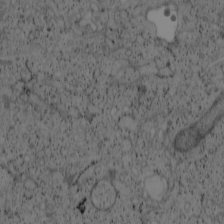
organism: African green monkey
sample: COS-7 cells